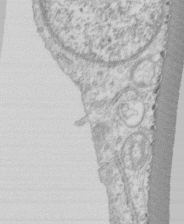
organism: Human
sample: CRL-1474